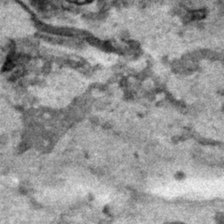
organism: Human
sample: Mitochondria in HCT116 cells